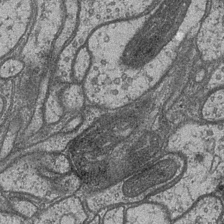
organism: Drosophila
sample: Optic medulla